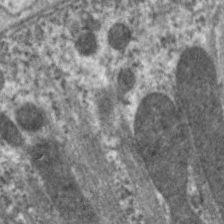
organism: C. elegans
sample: Pharynx